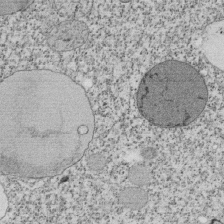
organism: Tetrahymena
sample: Cilia in tetrahymena